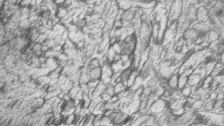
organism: Zebrafish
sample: synaptic ribbons in rod cells and cone cells